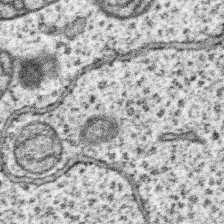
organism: Human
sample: HeLa cells